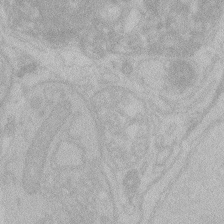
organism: Zebrafish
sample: Macrophage infected with Toxoplasma gondii